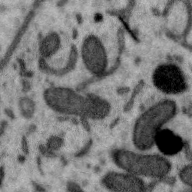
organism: Zebra finch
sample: Brain